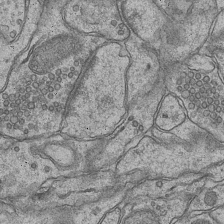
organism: Mouse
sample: CA1 Hippocampus